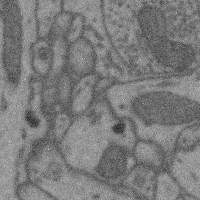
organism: Mouse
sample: Cerebral cortex